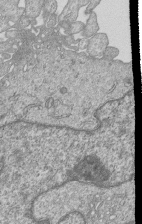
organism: Human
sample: MDA-MB-231 cells